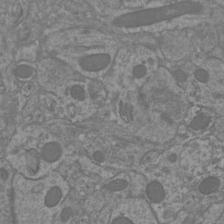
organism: Mouse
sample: Cortical neurons